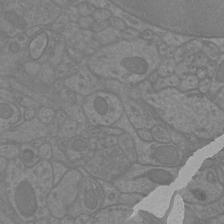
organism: Mouse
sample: Cortical neurons